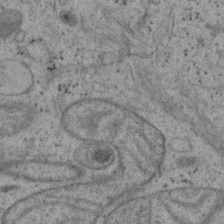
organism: Human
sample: HeLa cells